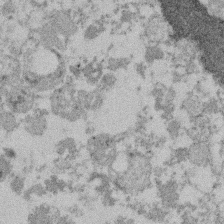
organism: Mouse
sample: Dividing mouse embryo 1 cell stage